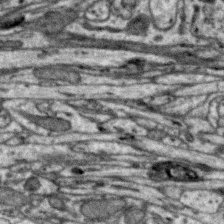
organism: Zebra finch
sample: Brain